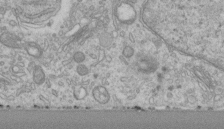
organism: Human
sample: Centriole in RPE cells